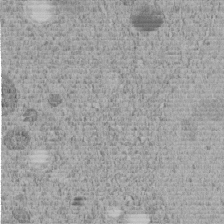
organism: C. elegans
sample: C. elegans embryo early stage